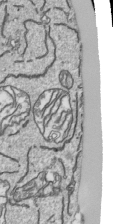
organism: Human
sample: Mitochondria in HCT116 cells